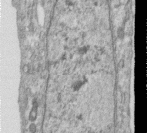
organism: Human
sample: Centriole in RPE cells